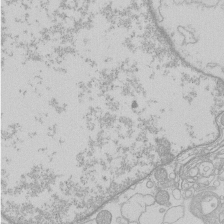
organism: Human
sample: Macrophage cells